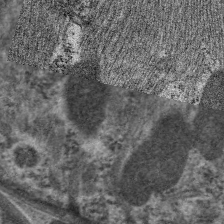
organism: C. elegans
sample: Pharynx